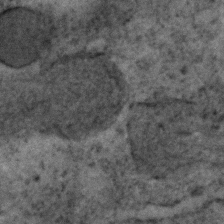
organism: C. elegans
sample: C. elegans embryo